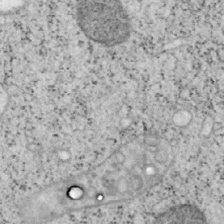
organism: Mouse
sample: OT-I killer T cells with ID8 ovarian cancer cells